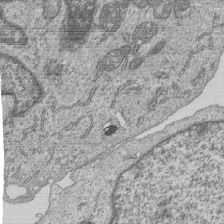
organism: Human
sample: MDA-MB-231 cells